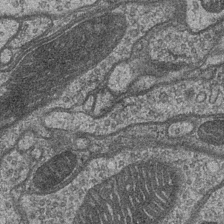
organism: Drosophila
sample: Optic medulla